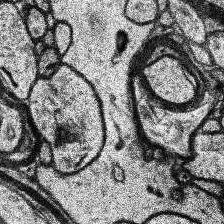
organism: Human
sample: Temporal Lobe